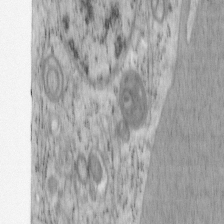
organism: Human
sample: HeLa cells